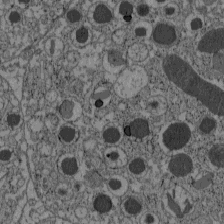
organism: C57BL Mouse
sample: Pancreatic islet